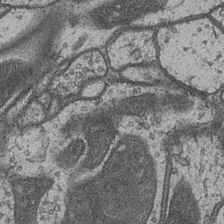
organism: Drosophila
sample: Optic medulla